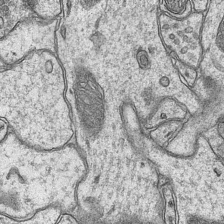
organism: Mouse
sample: CA1 Hippocampus